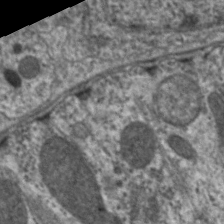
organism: C. elegans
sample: Pharynx